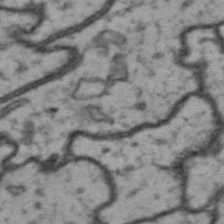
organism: Drosophila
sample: Brain